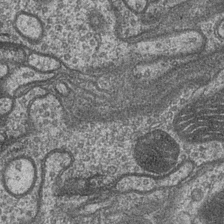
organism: Drosophila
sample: Optic medulla